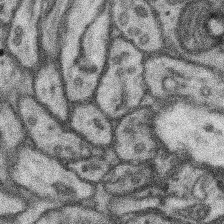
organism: Mouse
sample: Somatosensory cortex neuropil